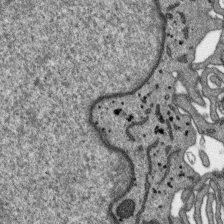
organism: Human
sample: Lung epithelial cells, uninfected (mock) control